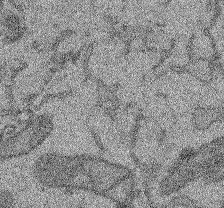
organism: Human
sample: HeLa cells